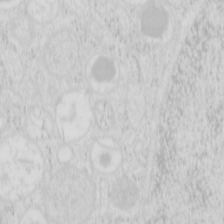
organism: Mouse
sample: Pancreas